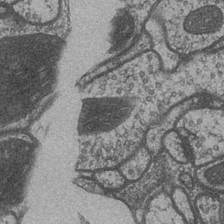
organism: Drosophila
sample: Optic medulla